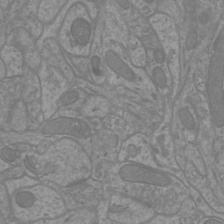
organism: Mouse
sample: Cortical neurons